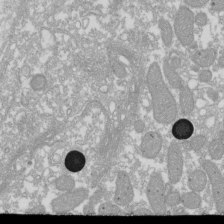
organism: Xenopus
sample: Cilia; centrioles in frog embryo cells